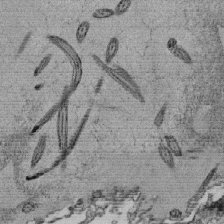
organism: Tetrahymena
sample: Cilia in tetrahymena